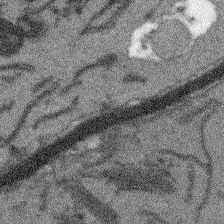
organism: Arabidopsis thaliana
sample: Root tip